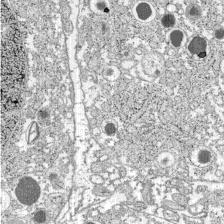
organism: C57BL Mouse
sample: Pancreatic islet